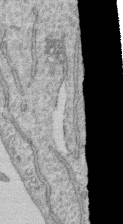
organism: Human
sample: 1205lu cells